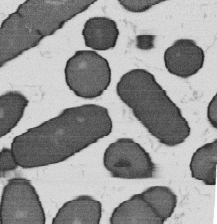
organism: B. subtilis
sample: Bacterial spore